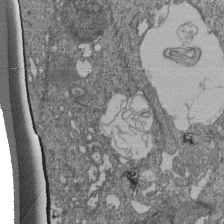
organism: Human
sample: Retinal organoid Rod and Cone cells